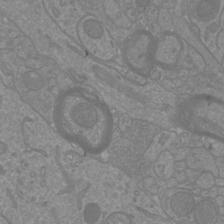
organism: Mouse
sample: Cortical neurons